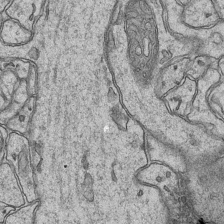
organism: Mouse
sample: CA1 Hippocampus